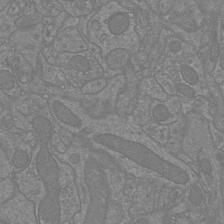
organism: Mouse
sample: Cortical neurons